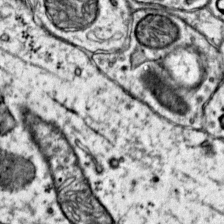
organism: Mouse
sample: Primary visual cortex